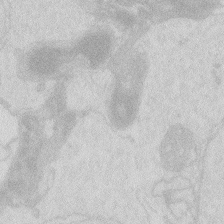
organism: Zebrafish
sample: Macrophage